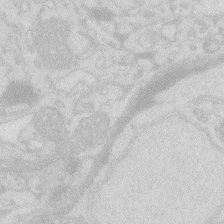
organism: Zebrafish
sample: Macrophage